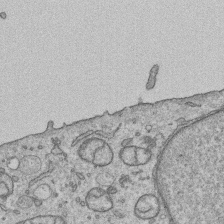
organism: Human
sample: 1205lu cells